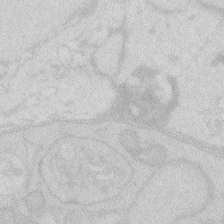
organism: Zebrafish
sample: Macrophage